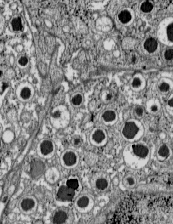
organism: C57BL Mouse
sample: Pancreatic islet